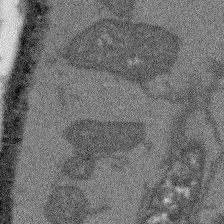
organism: Arabidopsis thaliana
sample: Root tip